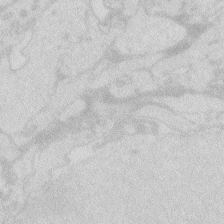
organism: Zebrafish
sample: Macrophage